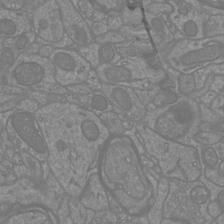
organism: Mouse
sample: Cortical neurons